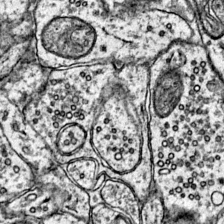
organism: Mouse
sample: Primary visual cortex